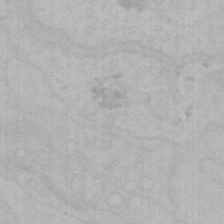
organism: Mouse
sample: Choroid plexus